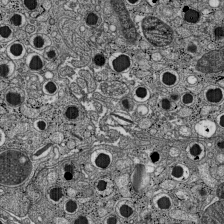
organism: C57BL Mouse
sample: Pancreatic islet